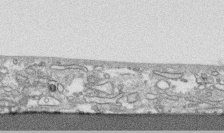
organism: Human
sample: CRL-1474